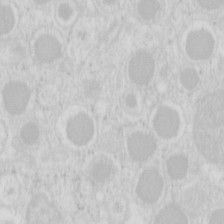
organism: Mouse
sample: Pancreas